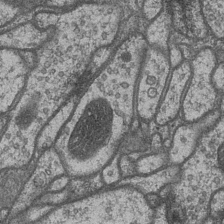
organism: Drosophila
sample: Optic medulla